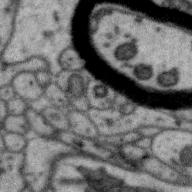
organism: Zebra finch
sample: Brain